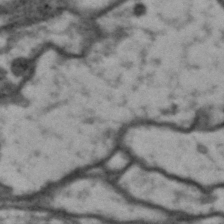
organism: Drosophila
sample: Brain